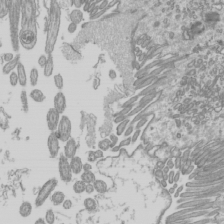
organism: Mouse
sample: Cilia; mouse epididymis